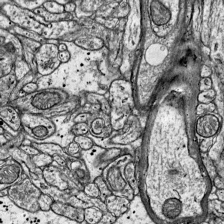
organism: Mouse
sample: Visual Cortex